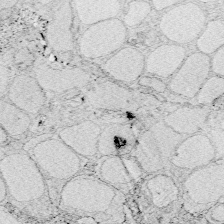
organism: Zebrafish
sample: Whole-Brain